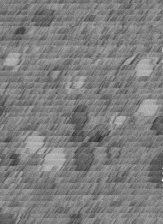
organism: C. elegans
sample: C. elegans embryo early stage